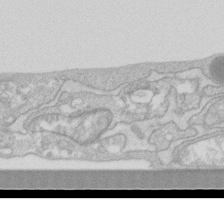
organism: Human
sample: Fibroblast cells